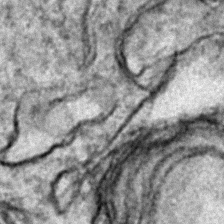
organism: Zebrafish